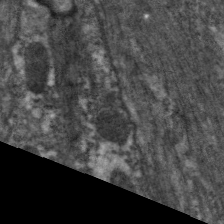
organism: C. elegans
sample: Pharynx